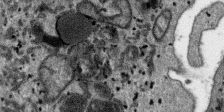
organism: Human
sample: Lung epithelial cells, uninfected (mock) control